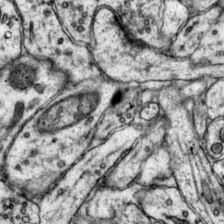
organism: Mouse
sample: Primary visual cortex